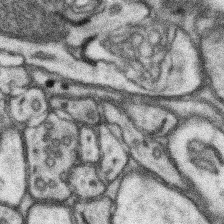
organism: Mouse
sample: Somatosensory cortex neuropil